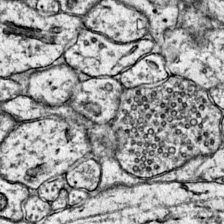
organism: Mouse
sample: Primary visual cortex